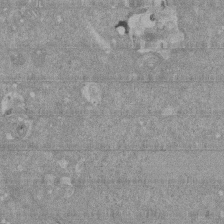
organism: Mouse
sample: ED-1 cell nuclei; centrioles